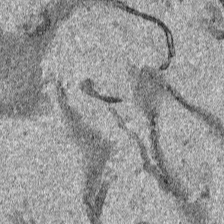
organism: Human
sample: Mitochondria in HCT116 cells